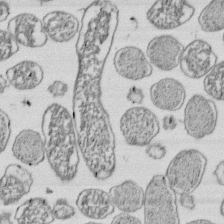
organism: E. coli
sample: Bacterial nucleoid